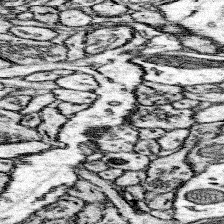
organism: Mouse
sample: Somatosensory cortex neuropil